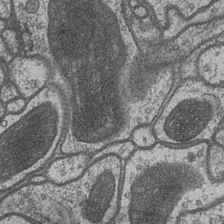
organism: Drosophila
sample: Optic medulla